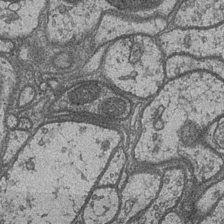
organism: Drosophila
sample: Optic medulla